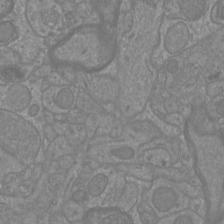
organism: Mouse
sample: Cortical neurons